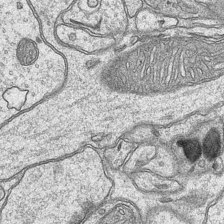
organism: Mouse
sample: CA1 Hippocampus